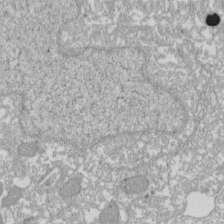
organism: Xenopus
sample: Cilia; centrioles in frog embryo cells